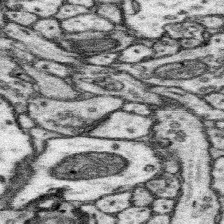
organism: Mouse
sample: Somatosensory cortex neuropil